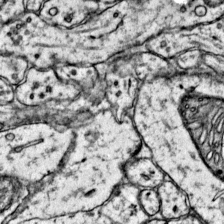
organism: Mouse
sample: Primary visual cortex